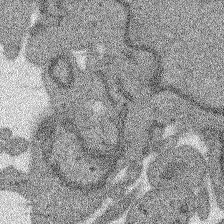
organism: Human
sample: HeLa cells